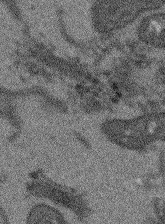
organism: Arabidopsis thaliana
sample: Root tip